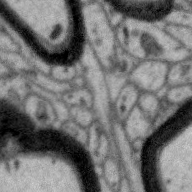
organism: Zebra finch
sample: Brain